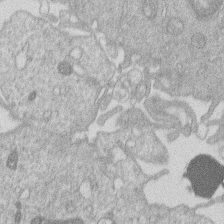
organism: Human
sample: Macrophage cells